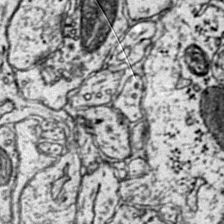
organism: Mouse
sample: Primary visual cortex